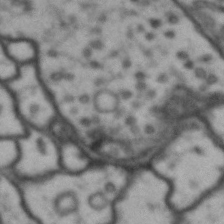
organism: Drosophila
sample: Brain